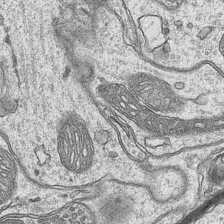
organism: Mouse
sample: CA1 Hippocampus